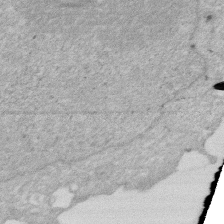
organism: Human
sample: HIV infected U937 cells